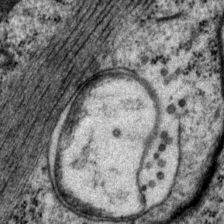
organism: P. pacificus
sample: Pharynx